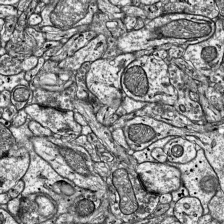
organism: Mouse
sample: Visual Cortex